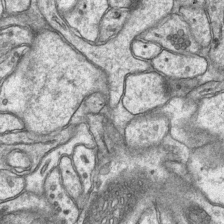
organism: Mouse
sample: CA1 Hippocampus